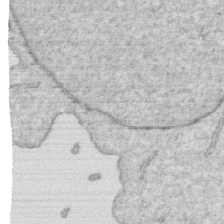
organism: Human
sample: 1205lu cells